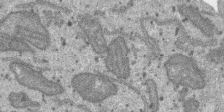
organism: Human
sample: Lung epithelial cells infected with SARS-CoV-2